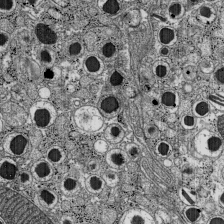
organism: C57BL Mouse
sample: Pancreatic islet